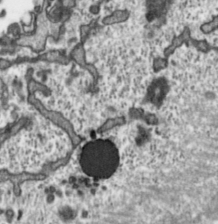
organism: Toxoplasma gondii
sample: Parasites in a vacuole inside a host cell